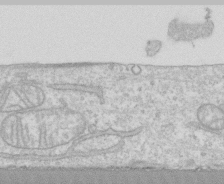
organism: Human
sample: CRL-1474